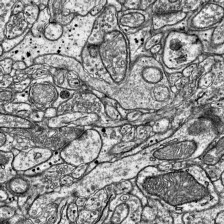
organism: Mouse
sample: Visual Cortex